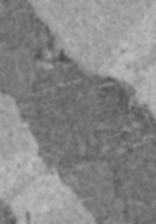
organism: C57BL Mouse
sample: Heart